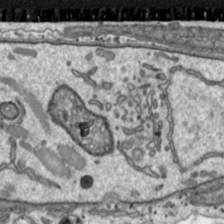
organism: Toxoplasma gondii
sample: Parasites in a vacuole inside a host cell